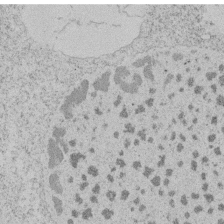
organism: Tetrahymena